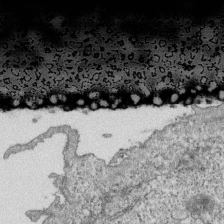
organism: Human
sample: HeLa cell HIV synapse